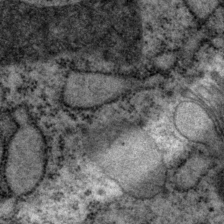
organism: P. pacificus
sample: Pharynx